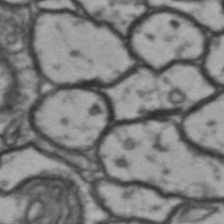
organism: Drosophila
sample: Brain